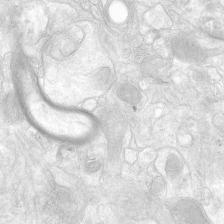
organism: Human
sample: Neocortex